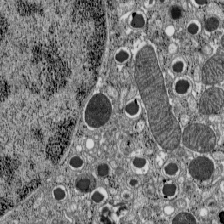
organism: C57BL Mouse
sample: Pancreatic islet